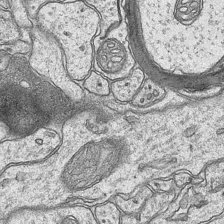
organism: Mouse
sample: CA1 Hippocampus